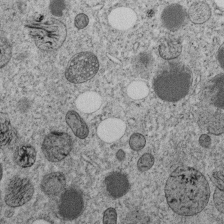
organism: C. elegans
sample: C. elegans embryo early stage